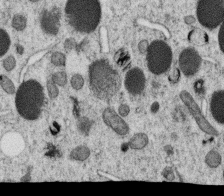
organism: C. elegans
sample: C. elegans oocyte; sperm cells